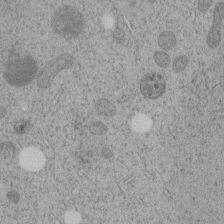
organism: C. elegans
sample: C. elegans embryo early stage